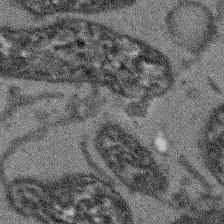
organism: Arabidopsis thaliana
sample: Root tip